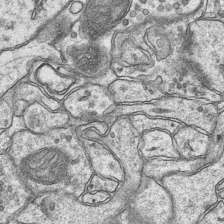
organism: Mouse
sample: CA1 Hippocampus